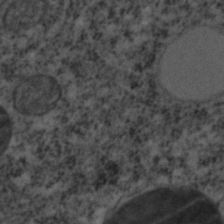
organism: C. elegans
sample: C. elegans embryo